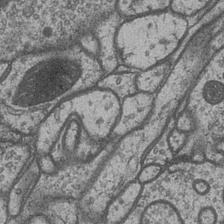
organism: Drosophila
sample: Optic medulla